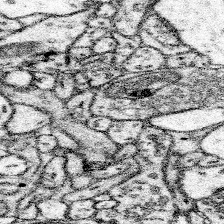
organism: Mouse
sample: Somatosensory cortex neuropil